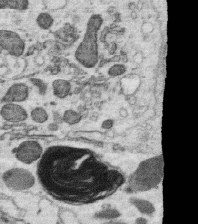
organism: C. elegans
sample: C. elegans oocyte; sperm cells